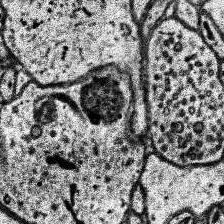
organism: Human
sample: Temporal Lobe